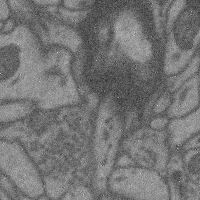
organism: Mouse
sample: Cerebral cortex